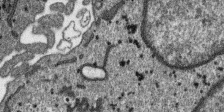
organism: Human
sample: Lung epithelial cells infected with SARS-CoV-2